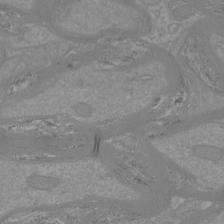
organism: Mouse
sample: Cortical neurons